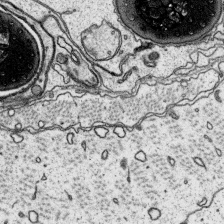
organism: Platynereis dumerilii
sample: Parapodia